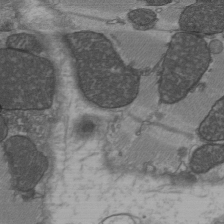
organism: C57BL Mouse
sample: Heart